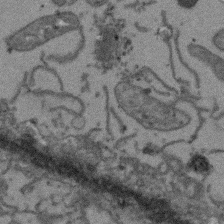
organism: Arabidopsis thaliana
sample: Root tip